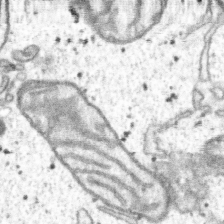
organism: Human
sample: HeLa cells